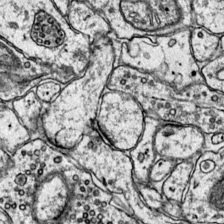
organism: Mouse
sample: Primary visual cortex